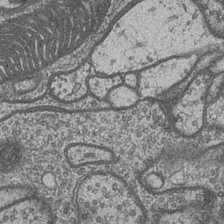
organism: Drosophila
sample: Optic medulla